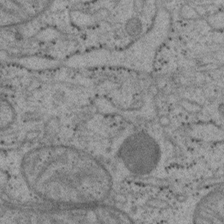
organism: Human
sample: HeLa cells